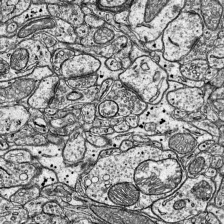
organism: Mouse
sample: Visual Cortex